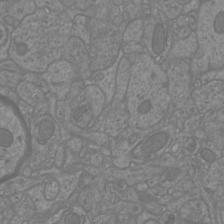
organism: Mouse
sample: Cortical neurons